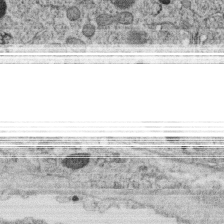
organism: C. elegans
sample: C. elegans oocyte; sperm cells